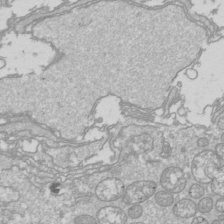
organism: Drosophila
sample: Cell division; meiosis; drosophila spermatocytes